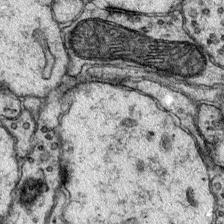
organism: Mouse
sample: Primary visual cortex